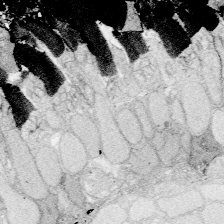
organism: Zebrafish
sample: Whole-Brain